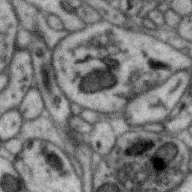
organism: Zebra finch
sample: Brain